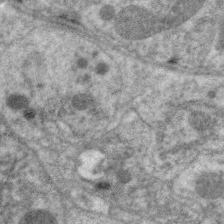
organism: C. elegans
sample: Pharynx